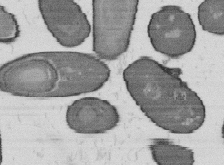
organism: B. subtilis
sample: Bacterial spore